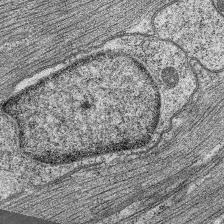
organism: C. elegans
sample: Pharynx